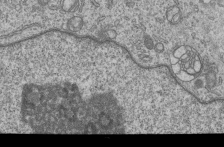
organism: Human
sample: MDA-MB-231 cells